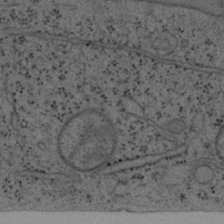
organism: Human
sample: HeLa cells